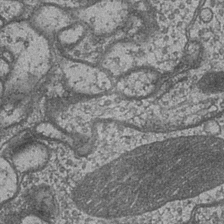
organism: Drosophila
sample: Optic medulla